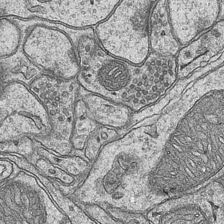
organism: Mouse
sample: CA1 Hippocampus